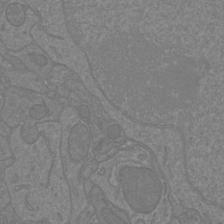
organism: Mouse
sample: Cortical neurons